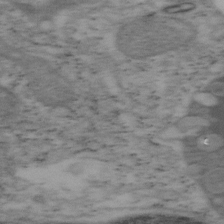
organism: Mouse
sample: OT-I killer T cells with ID8 ovarian cancer cells